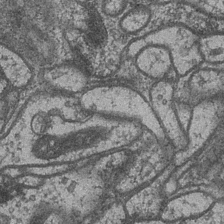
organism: Drosophila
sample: Optic medulla